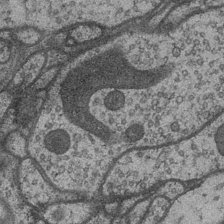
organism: Drosophila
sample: Optic medulla